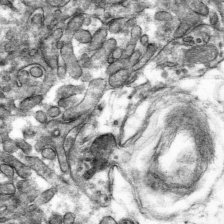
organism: Mouse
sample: Mouse hepatocytes